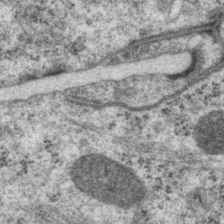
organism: P. pacificus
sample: Pharynx